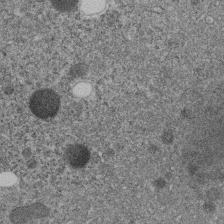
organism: C. elegans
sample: C. elegans embryo early stage